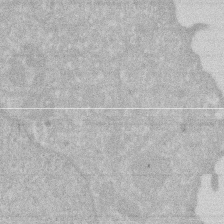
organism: Human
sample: HIV infected U937 cells